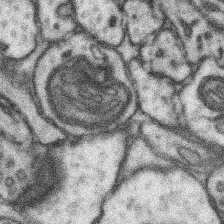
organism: Mouse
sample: Somatosensory cortex neuropil